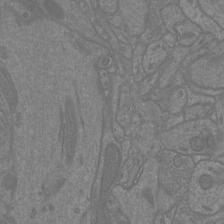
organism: Mouse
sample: Cortical neurons